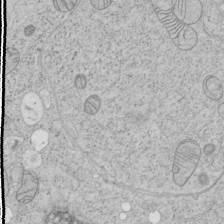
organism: Human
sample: Mitochondria in HCT116 cells